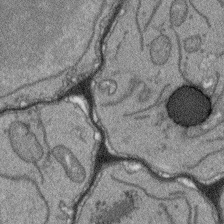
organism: Arabidopsis thaliana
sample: Root tip